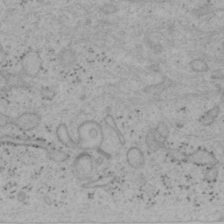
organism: Human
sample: HeLa cells